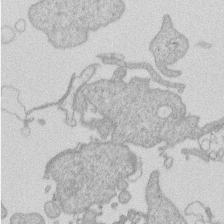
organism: Human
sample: Macrophage cells